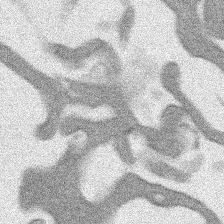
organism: Human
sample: Mitochondria in HCT116 cells